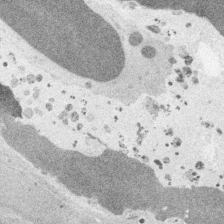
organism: Embia sp.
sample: Silk gland